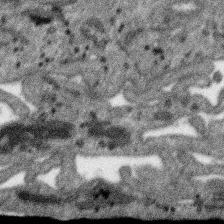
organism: Human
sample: Lung epithelial cells infected with SARS-CoV-2